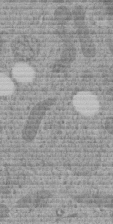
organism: C. elegans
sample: C. elegans embryo early stage